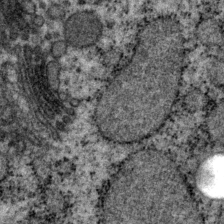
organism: P. pacificus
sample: Pharynx